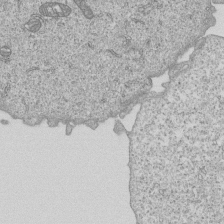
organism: Human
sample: MDA-MB-231 cells